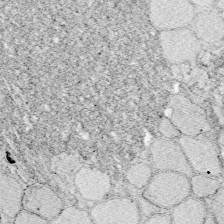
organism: Zebrafish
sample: Whole-Brain